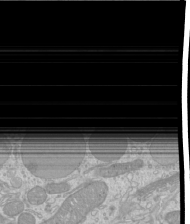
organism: Mouse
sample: Cilia; mouse epididymis